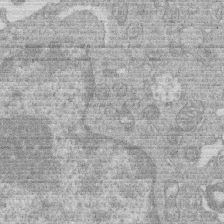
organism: Human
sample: Macrophage cells